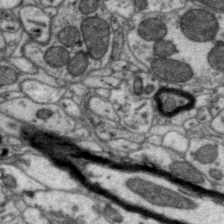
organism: Zebra finch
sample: Brain